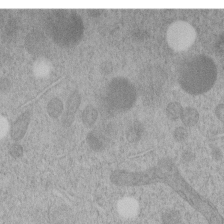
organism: C. elegans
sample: C. elegans embryo early stage